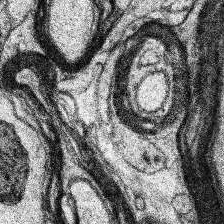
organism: Human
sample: Temporal Lobe